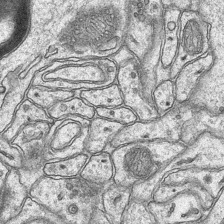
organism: Mouse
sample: CA1 Hippocampus